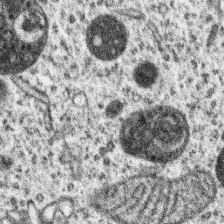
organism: Human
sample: HeLa cells